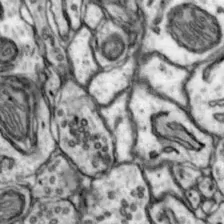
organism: Mouse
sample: Nucleus accumbens